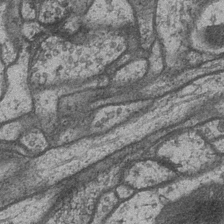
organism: Drosophila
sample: Optic medulla